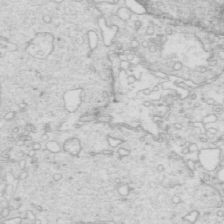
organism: Mouse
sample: Multiciliated cells